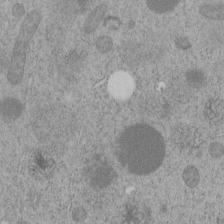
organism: C. elegans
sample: C. elegans embryo early stage